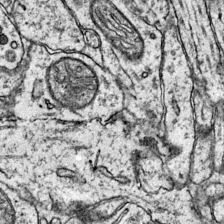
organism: Mouse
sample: Primary visual cortex